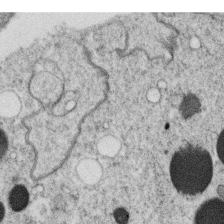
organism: C. elegans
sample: C. elegans oocyte; sperm cells